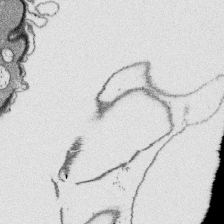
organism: Platynereis dumerilii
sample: Parapodia